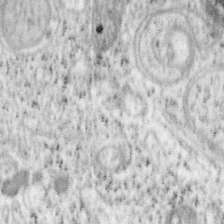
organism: Mouse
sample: OT-I killer T cells with ID8 ovarian cancer cells